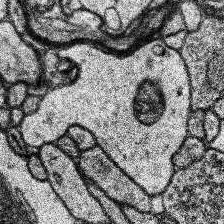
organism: Human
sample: Temporal Lobe